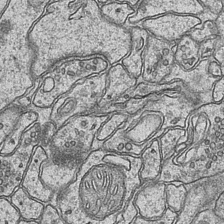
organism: Mouse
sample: CA1 Hippocampus